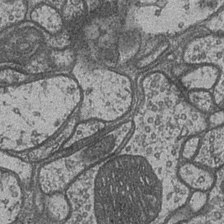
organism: Drosophila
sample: Optic medulla